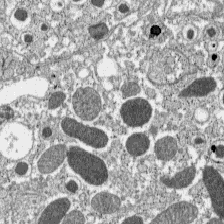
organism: C57BL Mouse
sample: Pancreatic islet